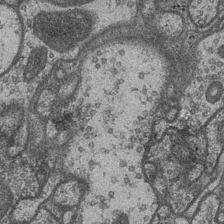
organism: Drosophila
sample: Optic medulla